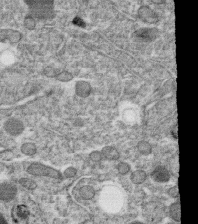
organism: C. elegans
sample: C. elegans oocyte; sperm cells